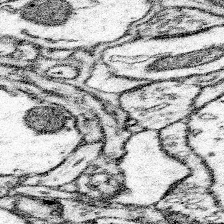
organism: Mouse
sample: Somatosensory cortex neuropil